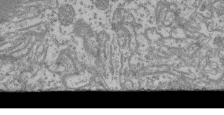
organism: Mouse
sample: Glomerulus